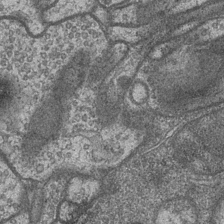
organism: Drosophila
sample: Optic medulla